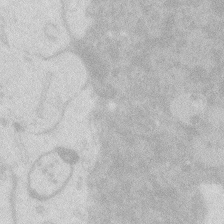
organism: Zebrafish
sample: Macrophage